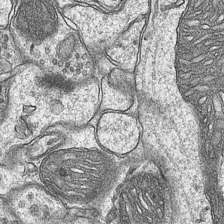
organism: Mouse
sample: CA1 Hippocampus